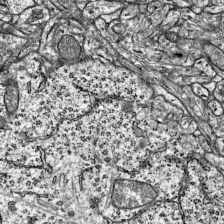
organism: Mouse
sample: Visual Cortex